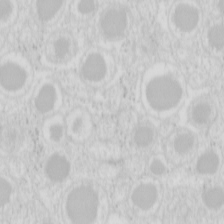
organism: Mouse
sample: Pancreas